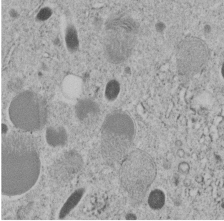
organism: C. elegans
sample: C. elegans embryo early stage